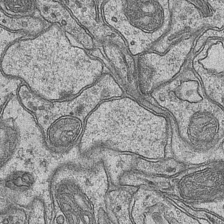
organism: Mouse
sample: CA1 Hippocampus